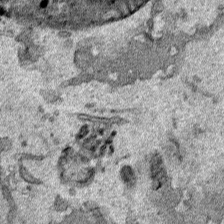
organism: Human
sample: Mitochondria in HCT116 cells